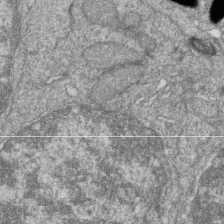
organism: Zebrafish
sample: Cilia; retinal pigment epithelium